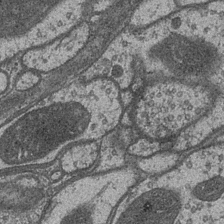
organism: Drosophila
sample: Optic medulla